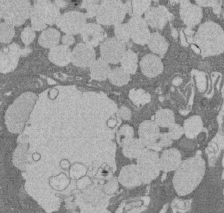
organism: Rat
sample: Salivary granule